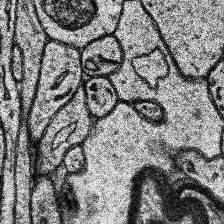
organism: Human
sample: Temporal Lobe